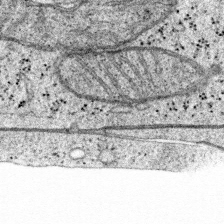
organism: Human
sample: HeLa cells